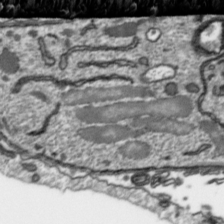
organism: Toxoplasma gondii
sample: Parasites in a vacuole inside a host cell